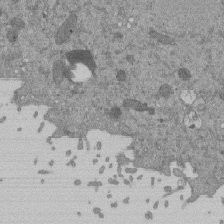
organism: Mouse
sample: ED-1 cell nuclei; centrioles